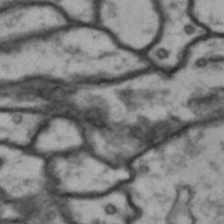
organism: Drosophila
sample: Brain